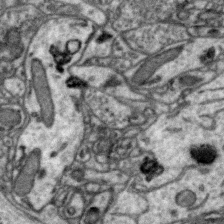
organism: Zebra finch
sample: Brain